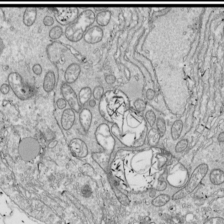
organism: Drosophila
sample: Cell division; meiosis; drosophila spermatocytes